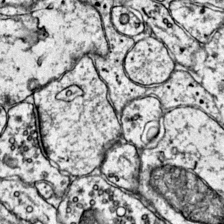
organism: Mouse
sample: Primary visual cortex